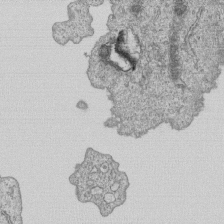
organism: Human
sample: MDA-MB-231 cells